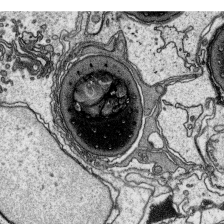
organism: Platynereis dumerilii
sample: Parapodia